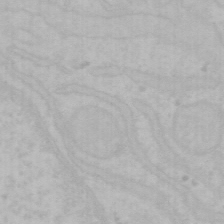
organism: Mouse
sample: Choroid plexus